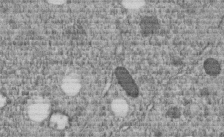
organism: C. elegans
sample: C. elegans embryo early stage